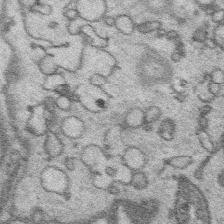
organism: Platynereis dumerilii